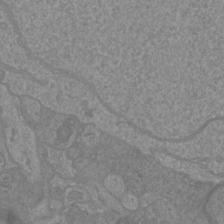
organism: Mouse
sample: Cortical neurons